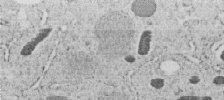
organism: C. elegans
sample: C. elegans embryo early stage